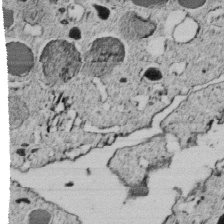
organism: C. elegans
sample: C. elegans embryo early stage